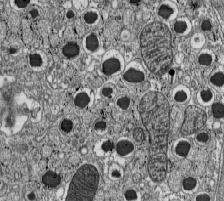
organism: C57BL Mouse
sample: Pancreatic islet